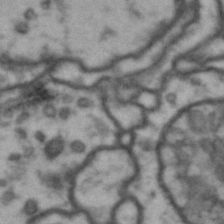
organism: Drosophila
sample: Brain